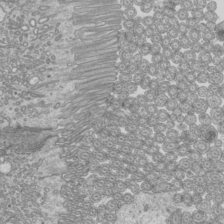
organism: Mouse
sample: Cilia; mouse epididymis